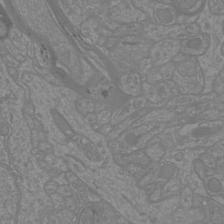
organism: Mouse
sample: Cortical neurons